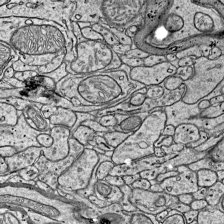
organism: Mouse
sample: Visual Cortex